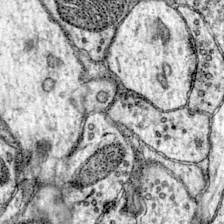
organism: Mouse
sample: Primary visual cortex